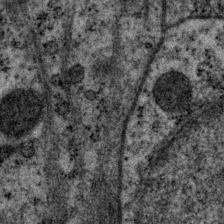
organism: P. pacificus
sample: Pharynx